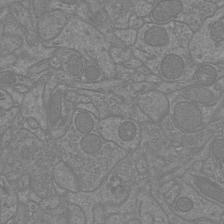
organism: Mouse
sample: Cortical neurons